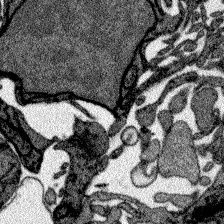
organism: Zebrafish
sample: Larval olfactory bulb